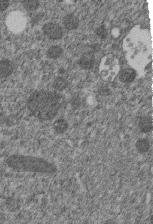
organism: C. elegans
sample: C. elegans embryo early stage